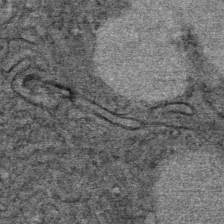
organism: Mouse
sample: Mouse Salivary gland